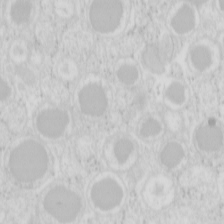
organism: Mouse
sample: Pancreas